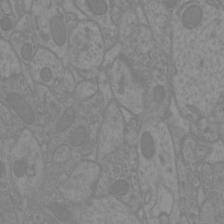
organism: Mouse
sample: Cortical neurons